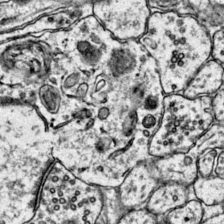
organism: Mouse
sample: Primary visual cortex